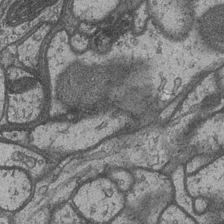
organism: Drosophila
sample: Optic medulla